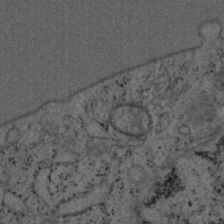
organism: Human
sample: HeLa cells